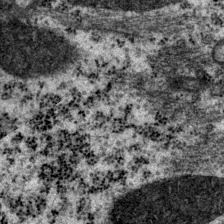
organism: P. pacificus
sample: Pharynx